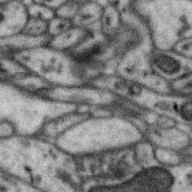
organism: Zebra finch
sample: Brain